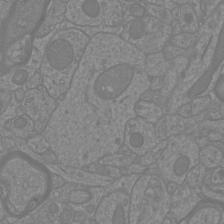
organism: Mouse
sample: Cortical neurons